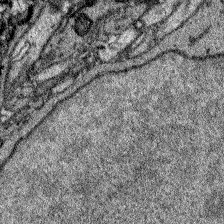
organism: Zebrafish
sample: Larval olfactory bulb